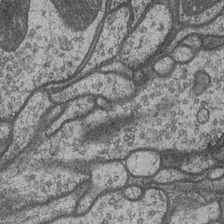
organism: Drosophila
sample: Optic medulla